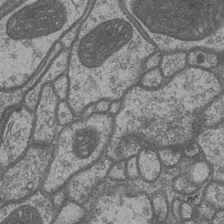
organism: Drosophila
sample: Optic medulla